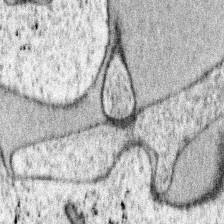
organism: Human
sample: HeLa cells